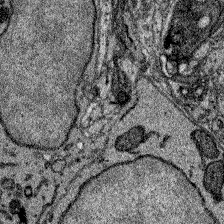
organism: Zebrafish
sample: Larval olfactory bulb